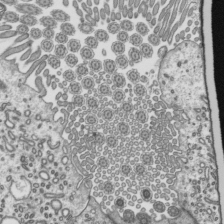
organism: Mouse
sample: Mouse epididymis efferent ductule cilia